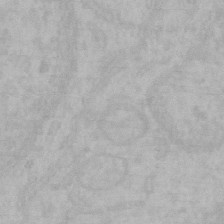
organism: Mouse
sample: Choroid plexus